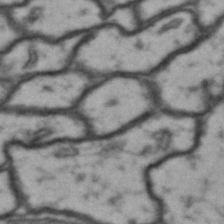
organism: Drosophila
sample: Brain